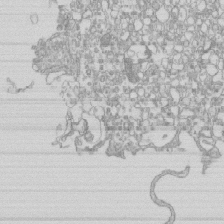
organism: Mouse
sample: Macrophages